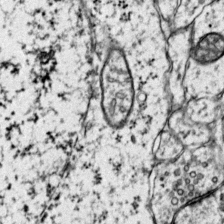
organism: Mouse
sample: Primary visual cortex